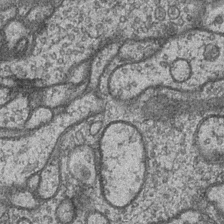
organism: Drosophila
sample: Optic medulla